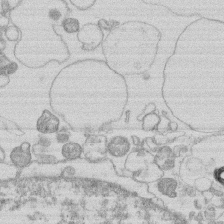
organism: Human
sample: Macrophage cells